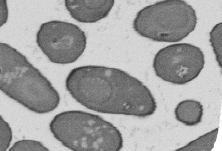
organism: B. subtilis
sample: Bacterial spore